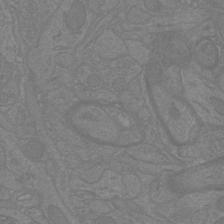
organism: Mouse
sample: Cortical neurons